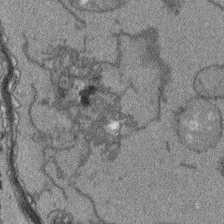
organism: Arabidopsis thaliana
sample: Root tip